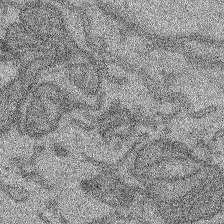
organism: Human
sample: HeLa cells